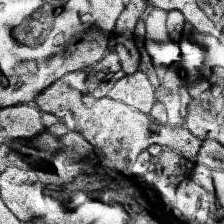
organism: Human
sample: Temporal Lobe